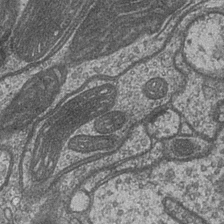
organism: Drosophila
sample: Optic medulla